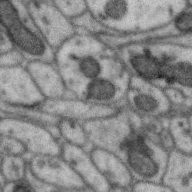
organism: Zebra finch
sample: Brain